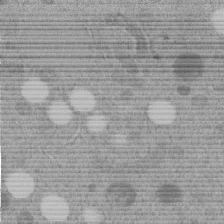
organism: C. elegans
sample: C. elegans embryo early stage